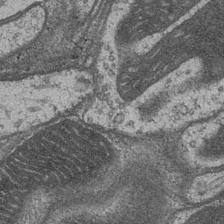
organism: Drosophila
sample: Optic medulla